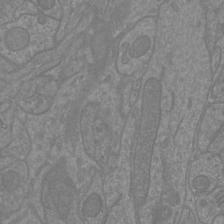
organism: Mouse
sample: Cortical neurons